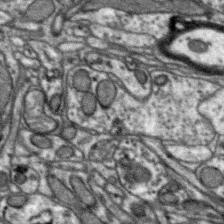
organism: Zebra finch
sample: Brain